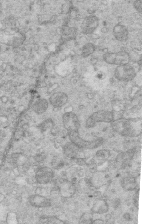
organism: Mouse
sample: Multiciliated cells